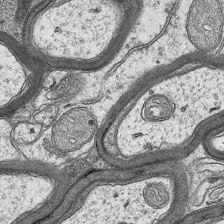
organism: Mouse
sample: CA1 Hippocampus